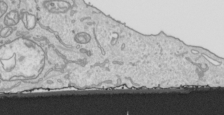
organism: Human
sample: Mitochondria in HCT116 cells